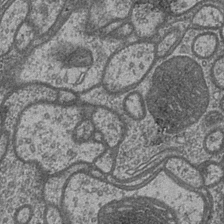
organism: Drosophila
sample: Optic medulla